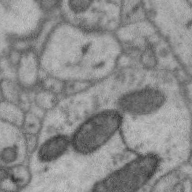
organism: Zebra finch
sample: Brain